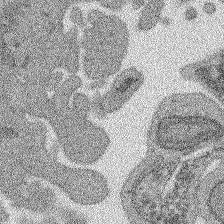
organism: Human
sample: HeLa cells